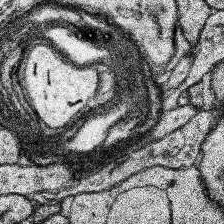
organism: Human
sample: Temporal Lobe